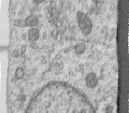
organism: Human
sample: Centriole in RPE cells